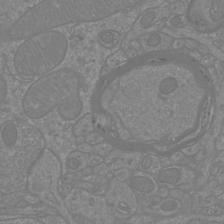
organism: Mouse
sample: Cortical neurons